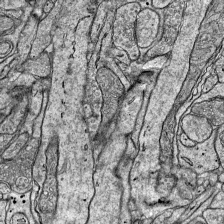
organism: Mouse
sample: Visual Cortex